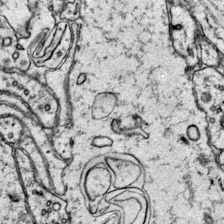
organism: Mouse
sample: Primary visual cortex